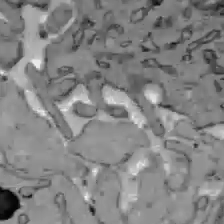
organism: C57BL Mouse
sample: Liver